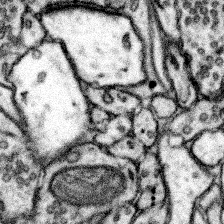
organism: Mouse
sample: Somatosensory cortex neuropil